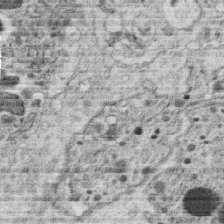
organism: C. elegans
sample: C. elegans oocyte; sperm cells